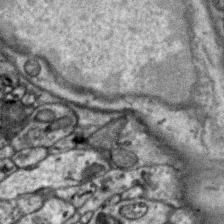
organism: Zebra finch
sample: Brain